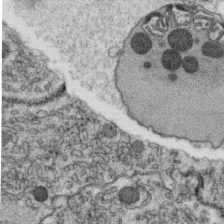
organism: C. elegans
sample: C. elegans oocyte; sperm cells